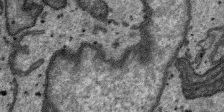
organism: Human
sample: Lung epithelial cells, uninfected (mock) control